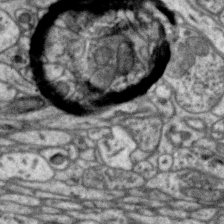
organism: Zebra finch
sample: Brain